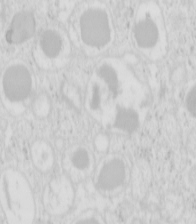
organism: Mouse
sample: Pancreas